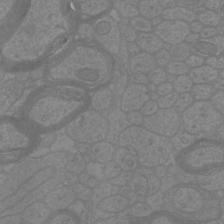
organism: Mouse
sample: Cortical neurons